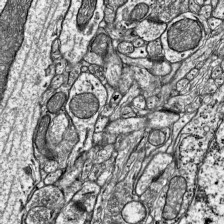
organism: Mouse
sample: Visual Cortex